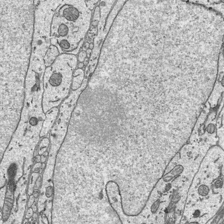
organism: Mouse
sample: Suprachiasmatic nucleus